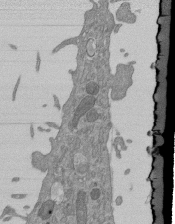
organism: Mouse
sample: ED-1 cell nuclei; centrioles